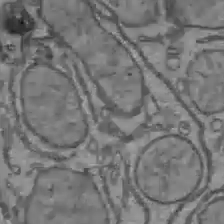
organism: C57BL Mouse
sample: Liver